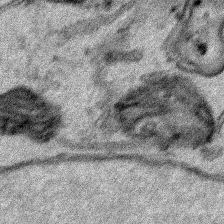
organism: Human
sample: Mitochondria in HCT116 cells